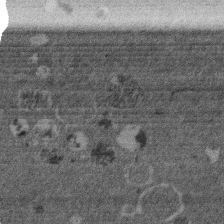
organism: Mouse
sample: Dividing mouse embryo 1 cell stage